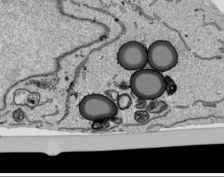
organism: Human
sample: Mitochondria in HCT116 cells